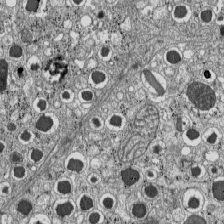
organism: C57BL Mouse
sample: Pancreatic islet